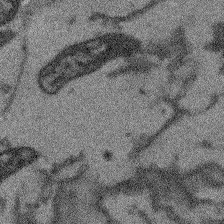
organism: Arabidopsis thaliana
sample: Root tip